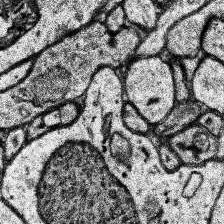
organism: Human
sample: Temporal Lobe